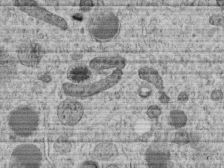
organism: C. elegans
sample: C. elegans embryo early stage